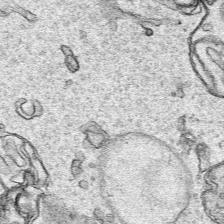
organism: Human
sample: Mitochondria in HCT116 cells